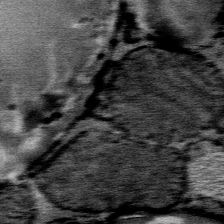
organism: Mouse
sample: Mouse Salivary gland